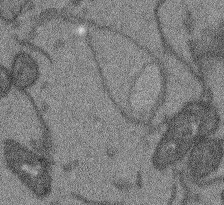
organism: Arabidopsis thaliana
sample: Root tip